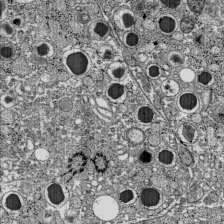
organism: C57BL Mouse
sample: Pancreatic islet